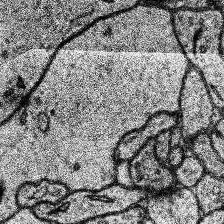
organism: Human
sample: Temporal Lobe